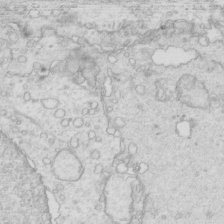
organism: Mouse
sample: Multiciliated cells